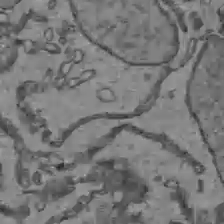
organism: C57BL Mouse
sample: Liver